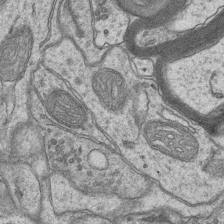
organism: Mouse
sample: CA1 Hippocampus